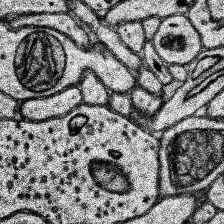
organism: Human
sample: Temporal Lobe